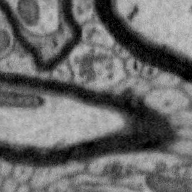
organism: Zebra finch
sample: Brain